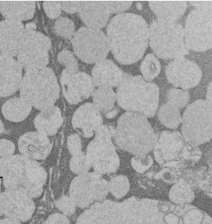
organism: Rat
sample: Salivary granule